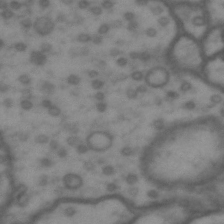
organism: Drosophila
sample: Brain